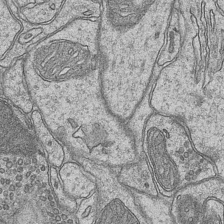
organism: Mouse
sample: CA1 Hippocampus